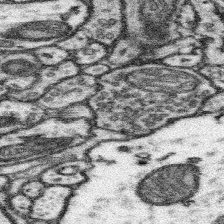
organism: Mouse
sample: Somatosensory cortex neuropil